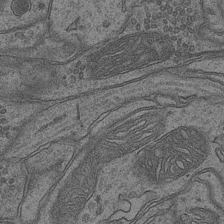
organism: Mouse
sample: CA1 Hippocampus